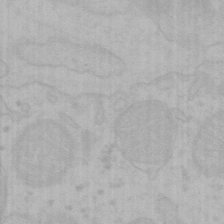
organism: Mouse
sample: Choroid plexus